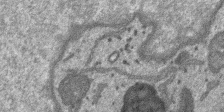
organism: Human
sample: Lung epithelial cells infected with SARS-CoV-2